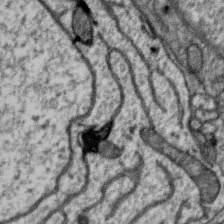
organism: Zebra finch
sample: Brain